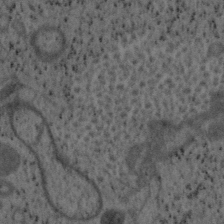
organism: Human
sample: HeLa cells